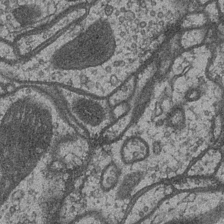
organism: Drosophila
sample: Optic medulla